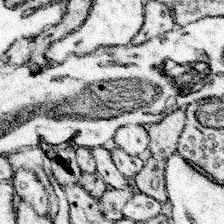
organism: Mouse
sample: Somatosensory cortex neuropil